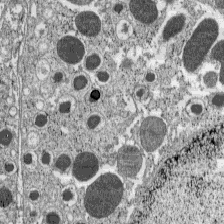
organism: C57BL Mouse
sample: Pancreatic islet